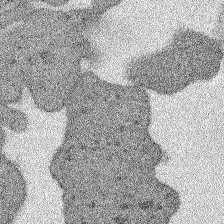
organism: Human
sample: HeLa cells